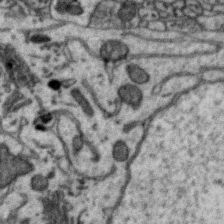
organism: Zebra finch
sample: Brain